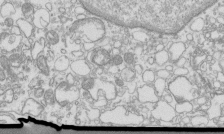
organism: Mouse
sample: Macrophages